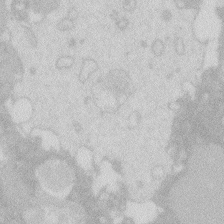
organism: Zebrafish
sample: Macrophage